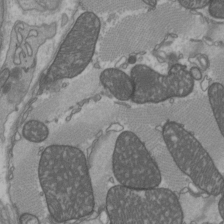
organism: C57BL Mouse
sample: Heart